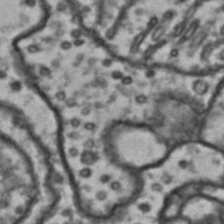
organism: Drosophila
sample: Brain